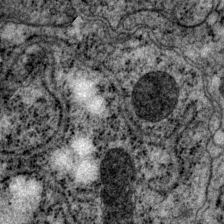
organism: P. pacificus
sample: Pharynx